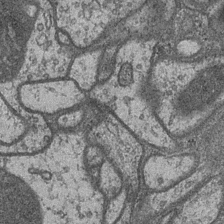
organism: Drosophila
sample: Optic medulla